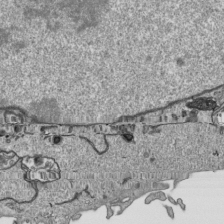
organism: Human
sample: Mitochondria in HCT116 cells